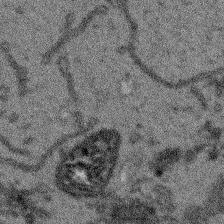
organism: Arabidopsis thaliana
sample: Root tip